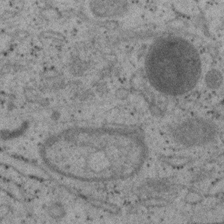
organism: Human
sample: HeLa cells